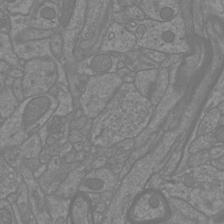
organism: Mouse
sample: Cortical neurons